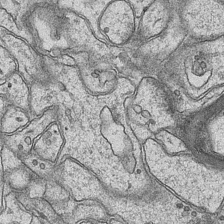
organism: Mouse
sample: CA1 Hippocampus